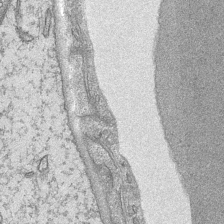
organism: Mouse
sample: CA1 Hippocampus